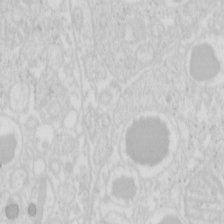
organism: Mouse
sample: Pancreas